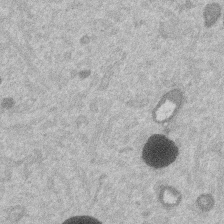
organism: Mouse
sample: Dividing mouse embryo 1 cell stage